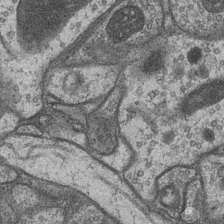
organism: Drosophila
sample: Optic medulla